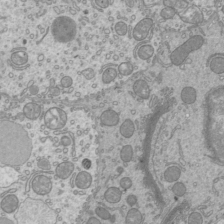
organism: Mouse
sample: Cilia; mouse epididymis